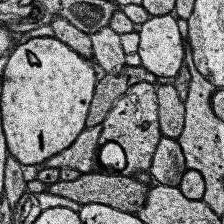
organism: Human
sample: Temporal Lobe